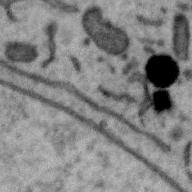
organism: Zebra finch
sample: Brain